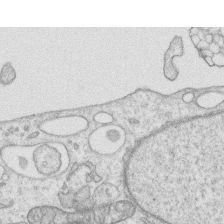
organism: Human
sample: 1205lu cells